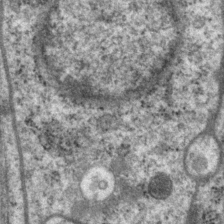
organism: P. pacificus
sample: Pharynx